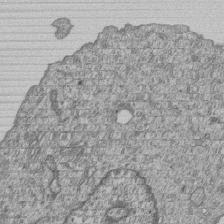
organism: Human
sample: MDA-MB-231 cells